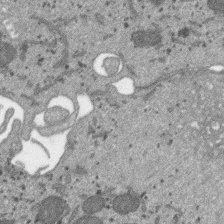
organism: Human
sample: Lung epithelial cells infected with SARS-CoV-2